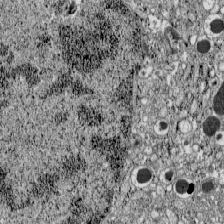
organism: C57BL Mouse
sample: Pancreatic islet